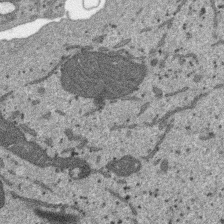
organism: Human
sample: Lung epithelial cells infected with SARS-CoV-2